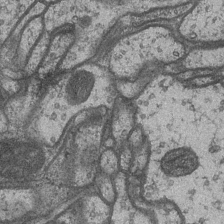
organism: Drosophila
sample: Optic medulla